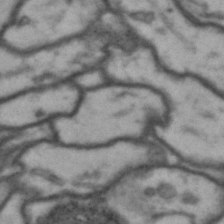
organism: Drosophila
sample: Brain